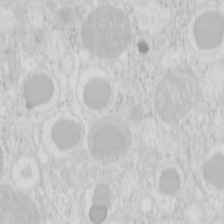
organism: Mouse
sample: Pancreas